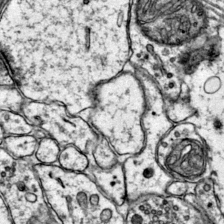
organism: Mouse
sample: Primary visual cortex